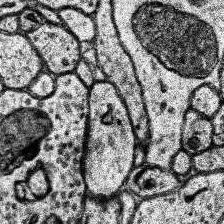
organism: Human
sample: Temporal Lobe